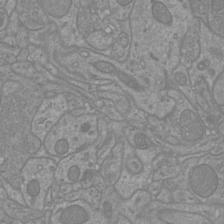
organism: Mouse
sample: Cortical neurons